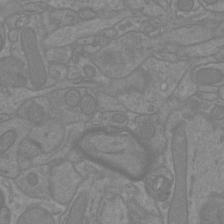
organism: Mouse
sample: Cortical neurons